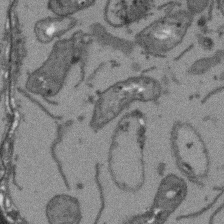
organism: Arabidopsis thaliana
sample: Root tip